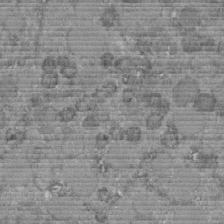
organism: C. elegans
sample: C. elegans embryo early stage